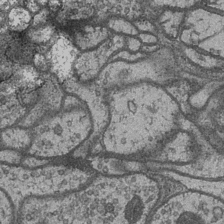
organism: Drosophila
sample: Optic medulla